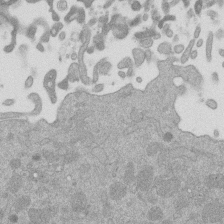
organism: Mouse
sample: Dividing mouse embryo 1 cell stage